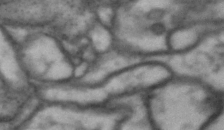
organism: Drosophila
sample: Brain